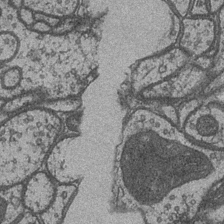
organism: Drosophila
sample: Optic medulla